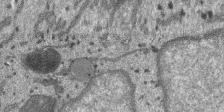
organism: Human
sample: Lung epithelial cells infected with SARS-CoV-2